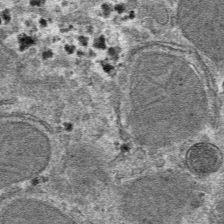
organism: Mouse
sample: Mouse hepatocytes